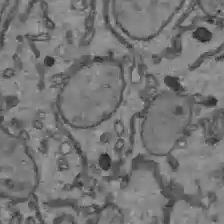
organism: C57BL Mouse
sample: Liver